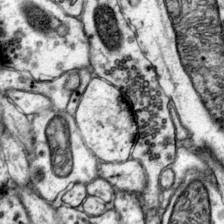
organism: Mouse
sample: Primary visual cortex